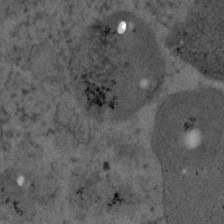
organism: Human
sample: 1205lu cells